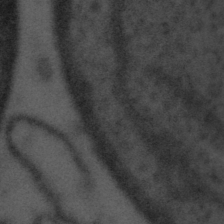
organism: Tuwongella immobilis